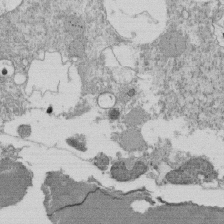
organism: Tetrahymena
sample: Cilia in tetrahymena